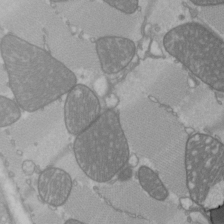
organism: C57BL Mouse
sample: Heart